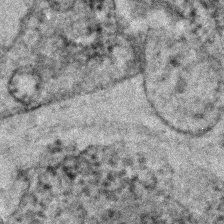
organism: C. elegans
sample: C. elegans embryo